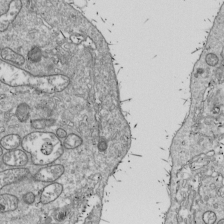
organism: Drosophila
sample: Cell division; meiosis; drosophila spermatocytes